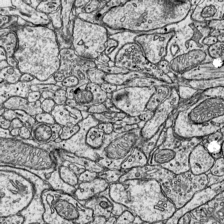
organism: Mouse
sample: Visual Cortex